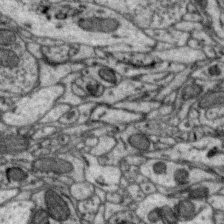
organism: Zebra finch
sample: Brain